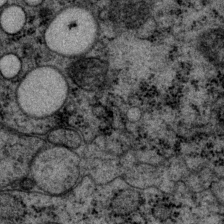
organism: P. pacificus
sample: Pharynx